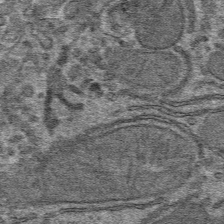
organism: Mouse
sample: Mouse hepatocytes